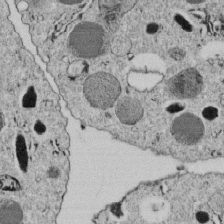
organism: C. elegans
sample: C. elegans embryo early stage